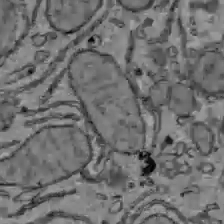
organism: C57BL Mouse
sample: Liver